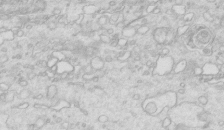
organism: Mouse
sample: Multiciliated cells